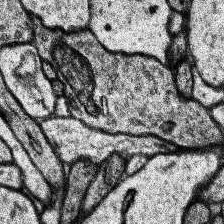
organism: Human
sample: Temporal Lobe